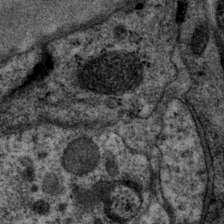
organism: P. pacificus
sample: Pharynx